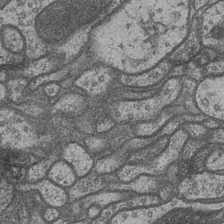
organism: Drosophila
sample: Optic medulla